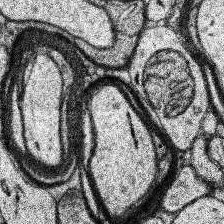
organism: Human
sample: Temporal Lobe